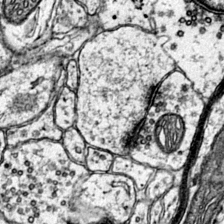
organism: Mouse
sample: Primary visual cortex